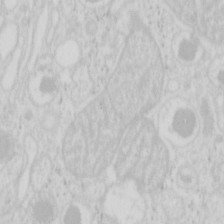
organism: Mouse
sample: Pancreas